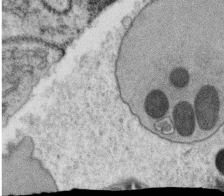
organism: C. elegans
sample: C. elegans oocyte; sperm cells